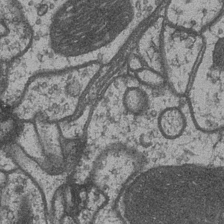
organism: Drosophila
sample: Optic medulla